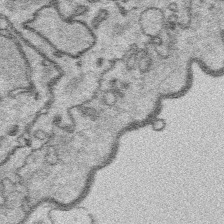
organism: Platynereis dumerilii